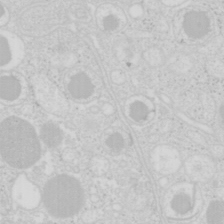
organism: Mouse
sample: Pancreas